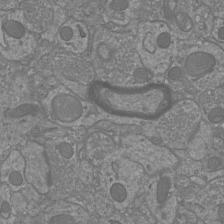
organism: Mouse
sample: Cortical neurons